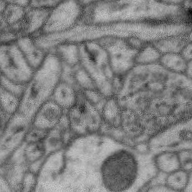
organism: Zebra finch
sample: Brain